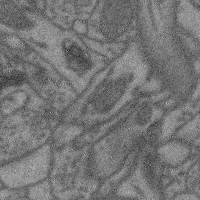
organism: Mouse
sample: Cerebral cortex